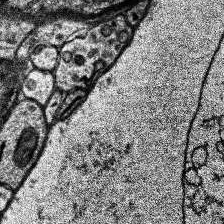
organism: Human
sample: Temporal Lobe